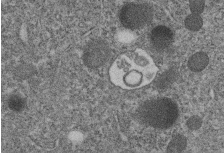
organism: C. elegans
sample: C. elegans embryo early stage